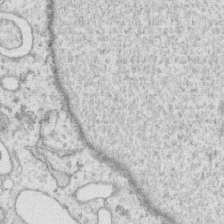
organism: Human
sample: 1205lu cells